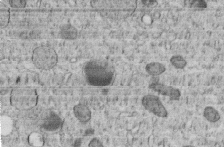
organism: C. elegans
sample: C. elegans embryo early stage